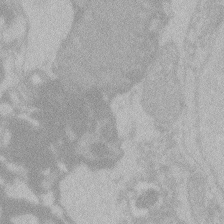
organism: Zebrafish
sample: Macrophage infected with Toxoplasma gondii